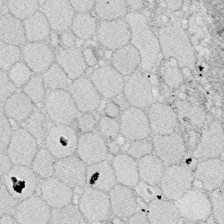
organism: Zebrafish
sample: Whole-Brain